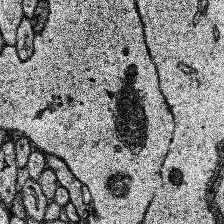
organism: Human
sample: Temporal Lobe